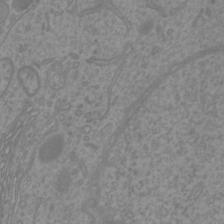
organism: Mouse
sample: Cortical neurons